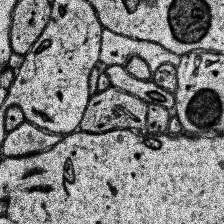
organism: Human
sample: Temporal Lobe